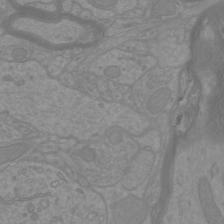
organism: Mouse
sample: Cortical neurons